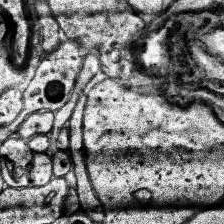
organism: Human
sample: Temporal Lobe